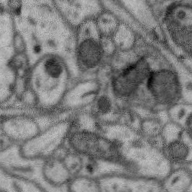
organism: Zebra finch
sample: Brain